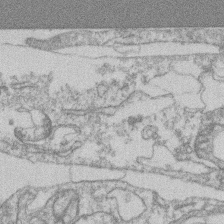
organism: Mouse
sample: T cell stromal cell synapse